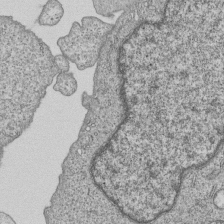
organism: Human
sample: MDA-MB-231 cells